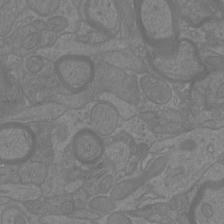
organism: Mouse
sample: Cortical neurons